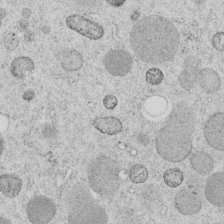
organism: C. elegans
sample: C. elegans embryo early stage